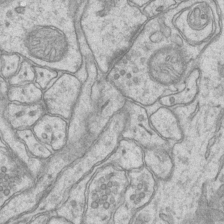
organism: Mouse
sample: CA1 Hippocampus